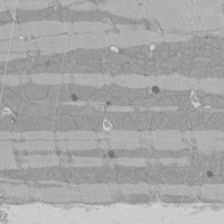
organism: Rat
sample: Left ventricle